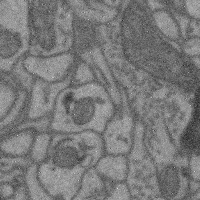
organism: Mouse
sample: Cerebral cortex